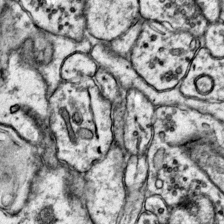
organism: Mouse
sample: Primary visual cortex